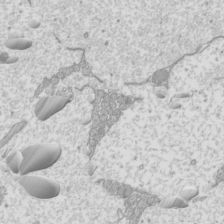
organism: Mouse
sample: Cilia; mouse epididymis